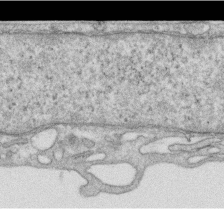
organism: Human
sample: Centriole in RPE cells